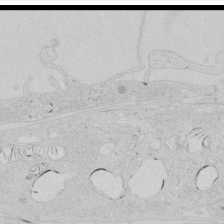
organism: Human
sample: Mitochondria in HCT116 cells